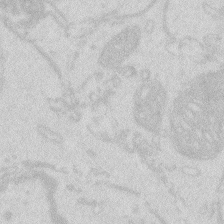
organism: Zebrafish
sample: Macrophage